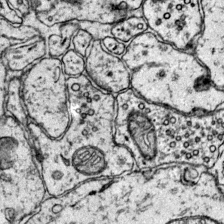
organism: Mouse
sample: Primary visual cortex